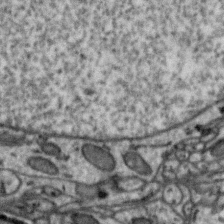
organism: Zebra finch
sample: Brain